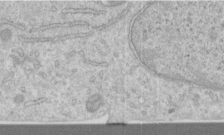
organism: Human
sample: Centriole in RPE cells